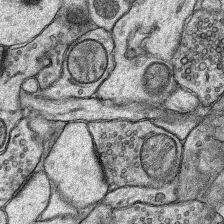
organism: Rat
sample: Hippocampus